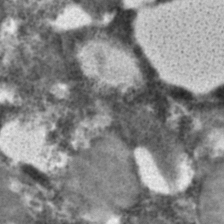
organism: C. elegans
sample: C. elegans embryo